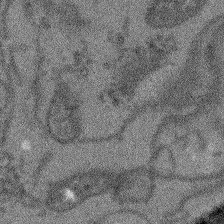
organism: Arabidopsis thaliana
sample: Root tip